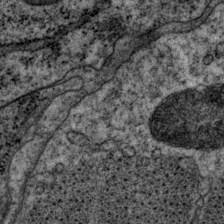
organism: P. pacificus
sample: Pharynx